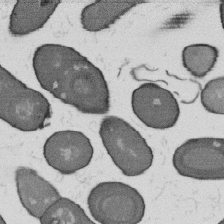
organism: B. subtilis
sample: Bacterial spore